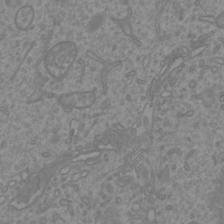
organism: Mouse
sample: Cortical neurons